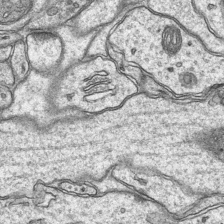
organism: Mouse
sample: CA1 Hippocampus